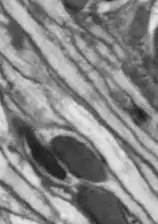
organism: Drosophila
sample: Optic lobe